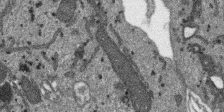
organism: Human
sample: Lung epithelial cells infected with SARS-CoV-2